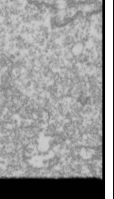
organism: Drosophila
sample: Cell division; meiosis; drosophila spermatocytes